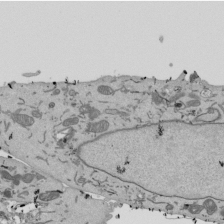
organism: Mouse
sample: ED-1 cell nuclei; centrioles